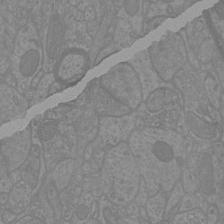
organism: Mouse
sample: Cortical neurons